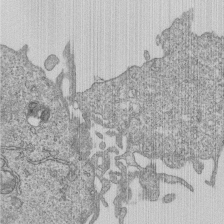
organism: Human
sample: MDA-MB-231 cells